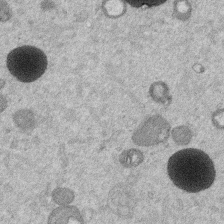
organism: Mouse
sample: Dividing mouse embryo 1 cell stage